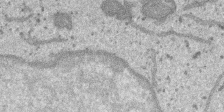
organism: Human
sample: Lung epithelial cells infected with SARS-CoV-2